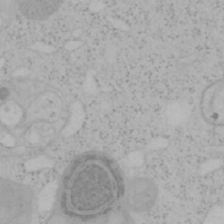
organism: Mouse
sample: OT-I killer T cells with ID8 ovarian cancer cells